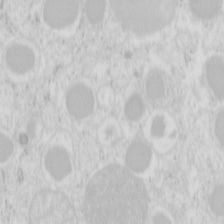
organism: Mouse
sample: Pancreas